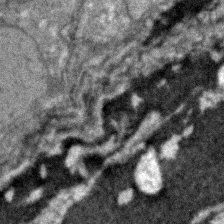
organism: Zebrafish